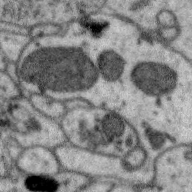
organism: Zebra finch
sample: Brain